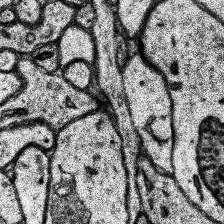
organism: Human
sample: Temporal Lobe